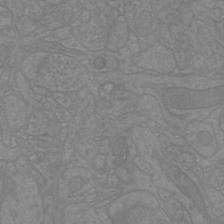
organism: Mouse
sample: Cortical neurons